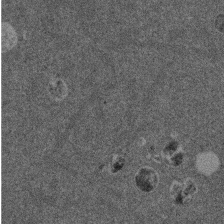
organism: Mouse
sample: Dividing mouse embryo 1 cell stage